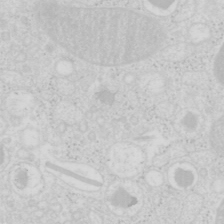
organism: Mouse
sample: Pancreas